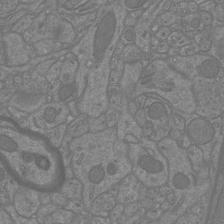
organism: Mouse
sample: Cortical neurons